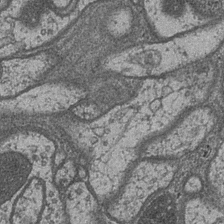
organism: Drosophila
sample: Optic medulla